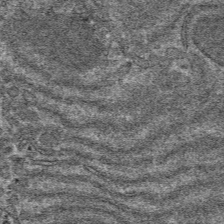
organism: Mouse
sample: Mouse hepatocytes